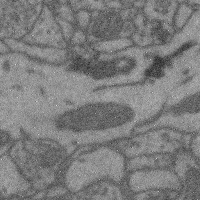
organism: Mouse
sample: Cerebral cortex